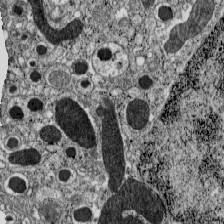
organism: C57BL Mouse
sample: Pancreatic islet